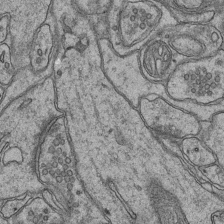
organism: Mouse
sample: CA1 Hippocampus